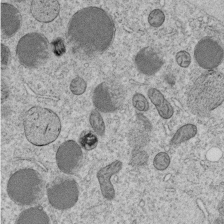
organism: C. elegans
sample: C. elegans embryo early stage